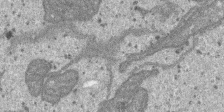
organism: Human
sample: Lung epithelial cells infected with SARS-CoV-2